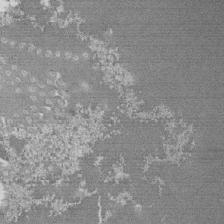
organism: Tetrahymena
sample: Cilia in tetrahymena